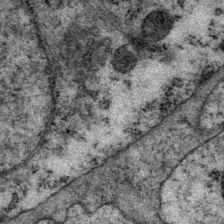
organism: P. pacificus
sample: Pharynx